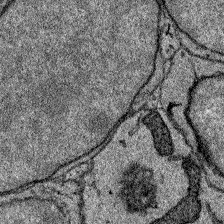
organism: Zebrafish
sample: Larval olfactory bulb